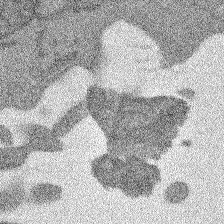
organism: Human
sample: HeLa cells